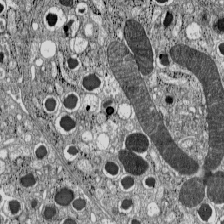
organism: C57BL Mouse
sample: Pancreatic islet